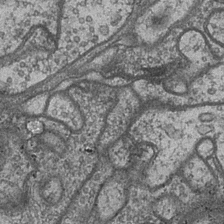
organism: Drosophila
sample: Optic medulla